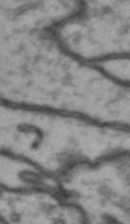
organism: Drosophila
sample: Brain